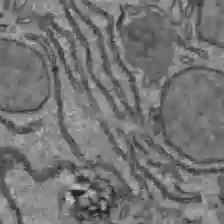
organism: C57BL Mouse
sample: Liver